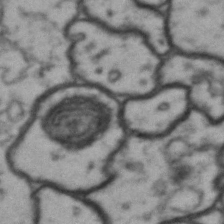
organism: Drosophila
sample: Brain